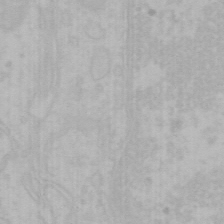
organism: Mouse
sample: Choroid plexus